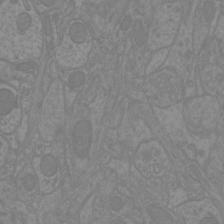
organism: Mouse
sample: Cortical neurons